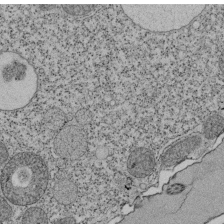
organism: Tetrahymena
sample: Cilia in tetrahymena